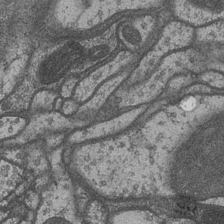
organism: Drosophila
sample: Optic medulla